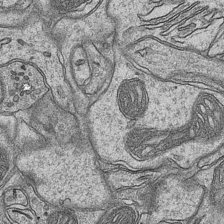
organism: Mouse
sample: CA1 Hippocampus